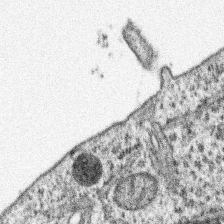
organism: Human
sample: HeLa cells